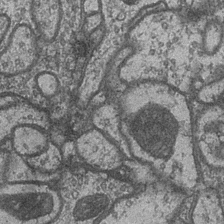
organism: Drosophila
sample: Optic medulla